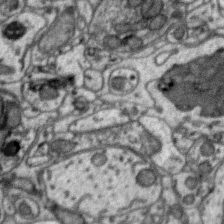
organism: Zebra finch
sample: Brain